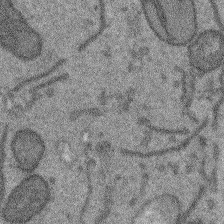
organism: Arabidopsis thaliana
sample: Root tip